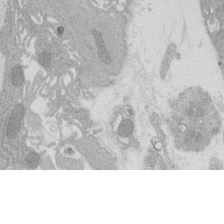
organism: Rat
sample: Salivary granule